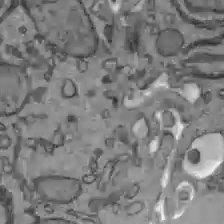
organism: C57BL Mouse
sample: Liver